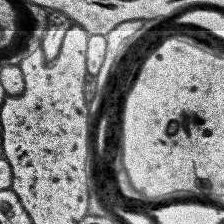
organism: Human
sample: Temporal Lobe